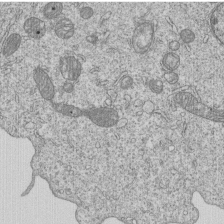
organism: Human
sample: MDA-MB-231 cells